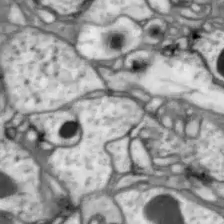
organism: Drosophila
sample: Optic lobe